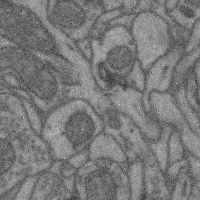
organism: Mouse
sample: Cerebral cortex